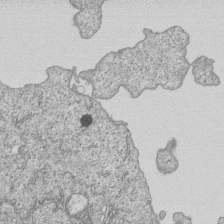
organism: Human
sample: MDA-MB-231 cells